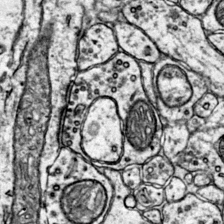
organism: Mouse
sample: Primary visual cortex